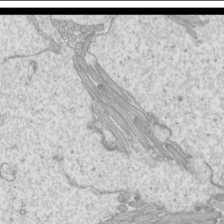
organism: Mouse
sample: Cilia; mouse epididymis